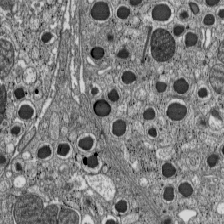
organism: C57BL Mouse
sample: Pancreatic islet